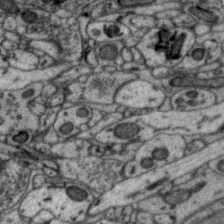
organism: Zebra finch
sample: Brain